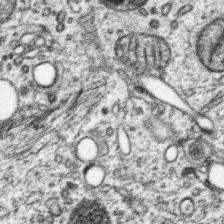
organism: Human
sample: HeLa cells